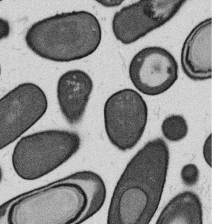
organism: B. subtilis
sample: Bacterial spore